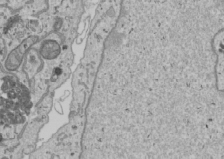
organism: Human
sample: Mitochondria in U2OS cells